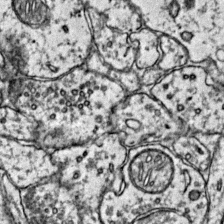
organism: Mouse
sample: Primary visual cortex